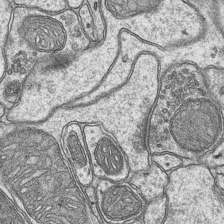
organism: Mouse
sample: CA1 Hippocampus